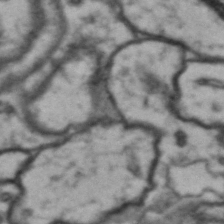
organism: Drosophila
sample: Brain